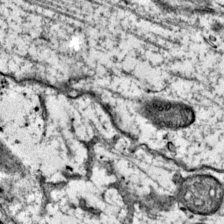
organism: Mouse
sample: Primary visual cortex